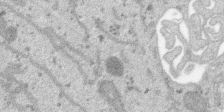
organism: Human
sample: Lung epithelial cells infected with SARS-CoV-2